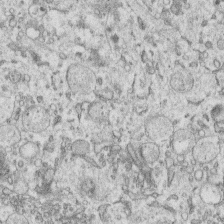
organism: Human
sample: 1205lu cells